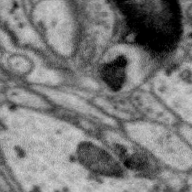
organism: Zebra finch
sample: Brain